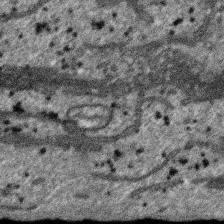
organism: Human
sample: Lung epithelial cells infected with SARS-CoV-2